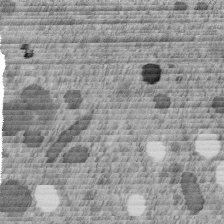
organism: C. elegans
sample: C. elegans embryo early stage